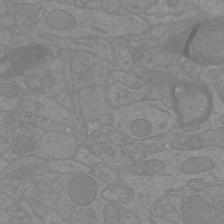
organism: Mouse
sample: Cortical neurons